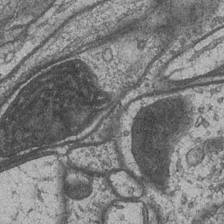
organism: Drosophila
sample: Optic medulla